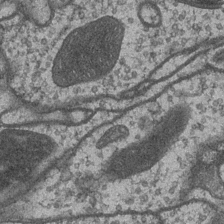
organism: Drosophila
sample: Optic medulla